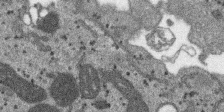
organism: Human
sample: Lung epithelial cells infected with SARS-CoV-2